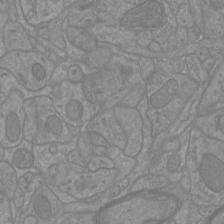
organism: Mouse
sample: Cortical neurons